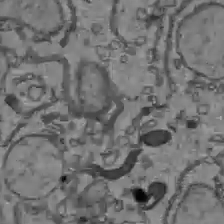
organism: C57BL Mouse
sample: Liver